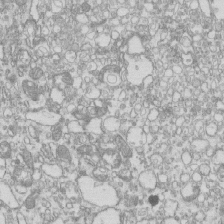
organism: Mouse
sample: Macrophages